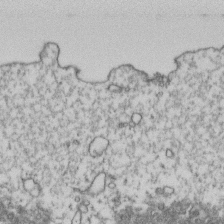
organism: Human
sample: Activated Jurkat CD4+ T cells